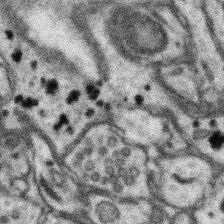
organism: Mouse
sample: Somatosensory cortex neuropil